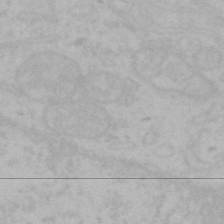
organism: Mouse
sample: Choroid plexus